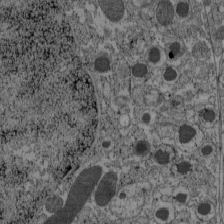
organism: C57BL Mouse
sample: Pancreatic islet